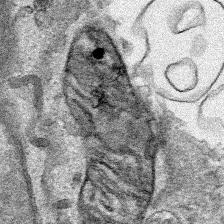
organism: Human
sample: Mitochondria in HCT116 cells